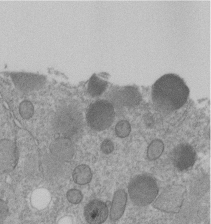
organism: C. elegans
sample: C. elegans embryo early stage